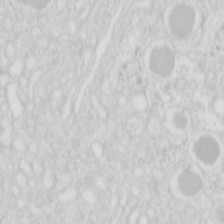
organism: Mouse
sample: Pancreas